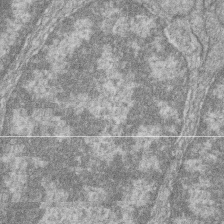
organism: Zebrafish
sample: Cilia; retinal pigment epithelium